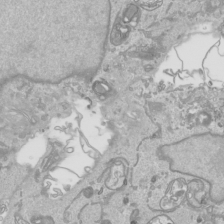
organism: Human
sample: Mitochondria in HCT116 cells